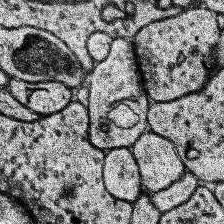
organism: Human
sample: Temporal Lobe